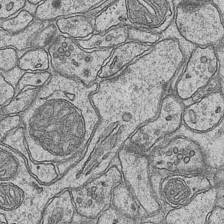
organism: Mouse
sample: CA1 Hippocampus